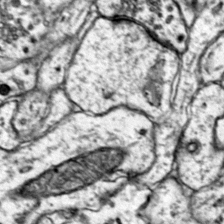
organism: Mouse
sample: Primary visual cortex